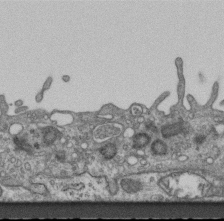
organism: Mouse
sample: Centriole in ependymal cells